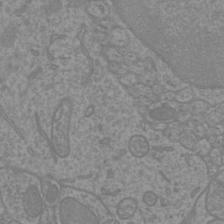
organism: Mouse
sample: Cortical neurons